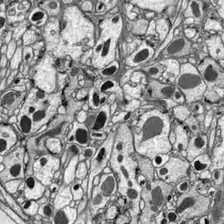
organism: Drosophila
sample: Optic lobe